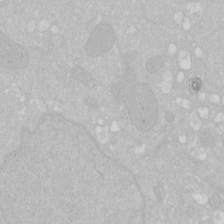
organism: Human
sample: HIV infected U937 cells